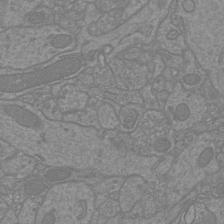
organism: Mouse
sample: Cortical neurons